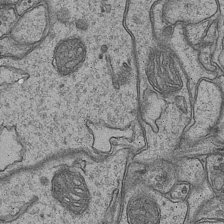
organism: Mouse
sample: CA1 Hippocampus